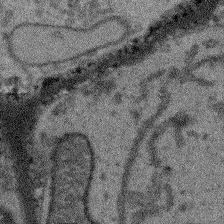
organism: Arabidopsis thaliana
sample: Root tip